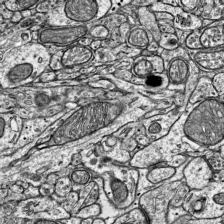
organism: Mouse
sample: Visual Cortex